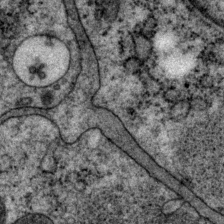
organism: P. pacificus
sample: Pharynx